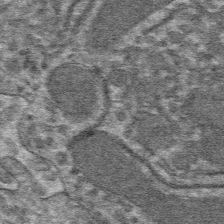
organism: Mouse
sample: Mouse hepatocytes